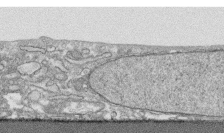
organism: Human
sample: CRL-1474